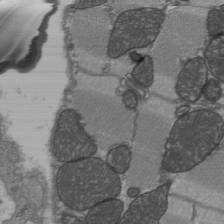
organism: C57BL Mouse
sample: Heart